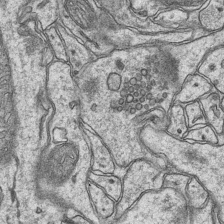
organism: Mouse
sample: CA1 Hippocampus